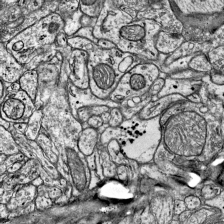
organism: Mouse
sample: Visual Cortex